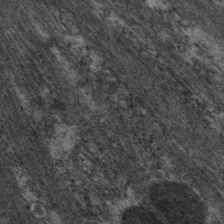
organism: C. elegans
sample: Pharynx